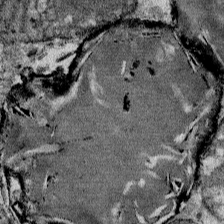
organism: Mouse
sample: Mouse Salivary gland